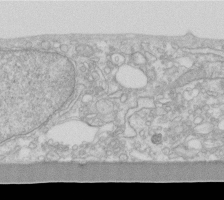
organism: Human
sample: Fibroblast cells